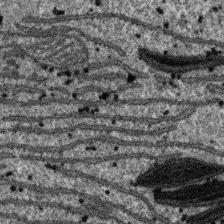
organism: Human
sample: Lung epithelial cells infected with SARS-CoV-2